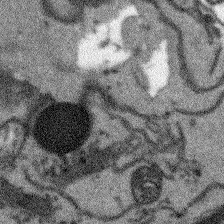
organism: Arabidopsis thaliana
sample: Root tip